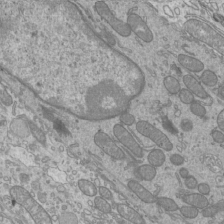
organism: Mouse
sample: Cilia; mouse epididymis